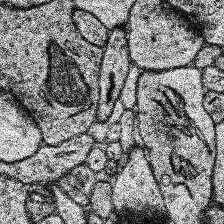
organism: Human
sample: Temporal Lobe